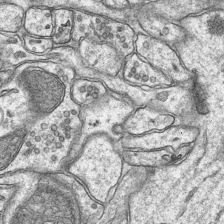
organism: Mouse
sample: CA1 Hippocampus